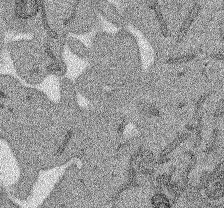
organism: Human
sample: HeLa cells